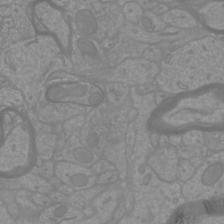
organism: Mouse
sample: Cortical neurons